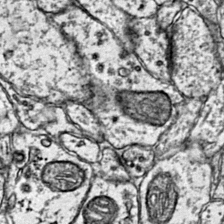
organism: Mouse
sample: Primary visual cortex